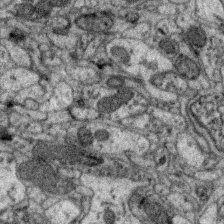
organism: Zebra finch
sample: Brain